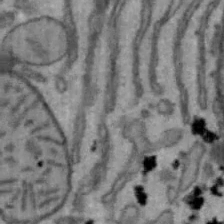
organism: Mouse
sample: Liver